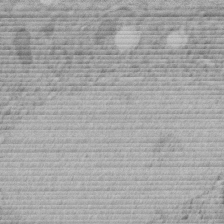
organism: C. elegans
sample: C. elegans embryo early stage